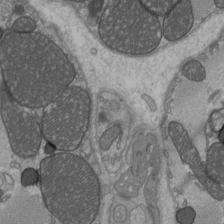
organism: C57BL Mouse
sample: Heart